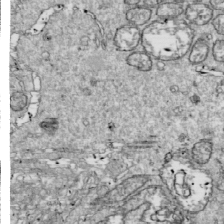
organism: Drosophila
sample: Cell division; meiosis; drosophila spermatocytes